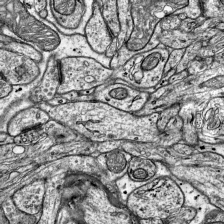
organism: Mouse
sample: Visual Cortex